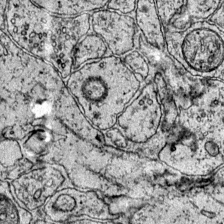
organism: Mouse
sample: Primary visual cortex